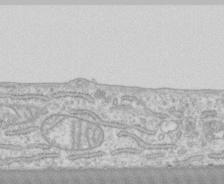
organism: Human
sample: CRL-1474